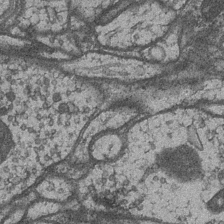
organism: Drosophila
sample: Optic medulla